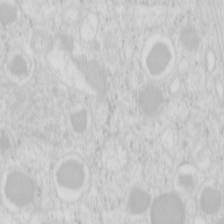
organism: Mouse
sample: Pancreas